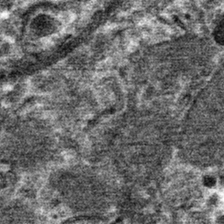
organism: Mouse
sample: Mouse hepatocytes